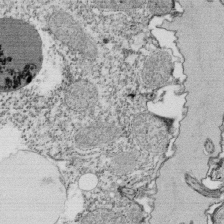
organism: Tetrahymena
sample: Cilia in tetrahymena